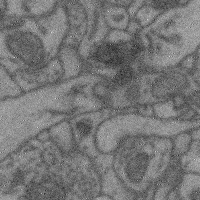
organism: Mouse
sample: Cerebral cortex